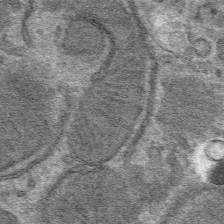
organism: Mouse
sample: Mouse hepatocytes